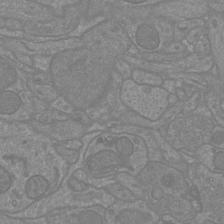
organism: Mouse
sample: Cortical neurons